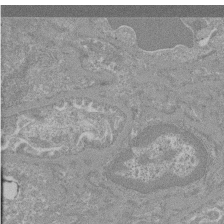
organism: Mouse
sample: Glomerulus